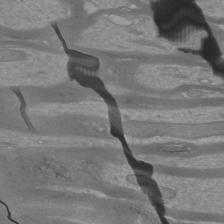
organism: Mouse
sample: Cortical neurons